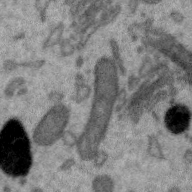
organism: Zebra finch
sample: Brain